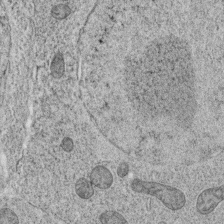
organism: C. elegans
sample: C. elegans oocyte; sperm cells